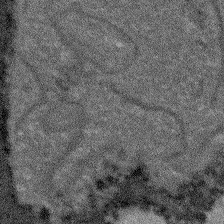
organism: Arabidopsis thaliana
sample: Root tip